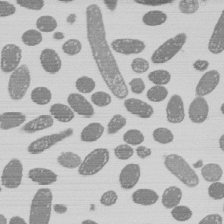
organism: E. coli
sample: Bacterial nucleoid